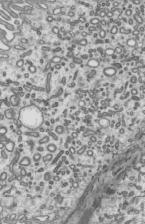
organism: Mouse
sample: Mouse epididymis efferent ductule cilia